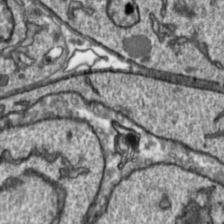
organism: Toxoplasma gondii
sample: Parasites in a vacuole inside a host cell